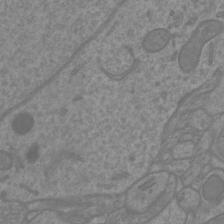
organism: Mouse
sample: Cortical neurons